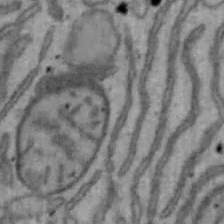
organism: Mouse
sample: Liver